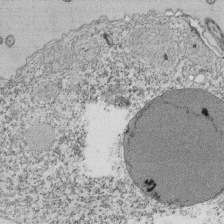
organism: Tetrahymena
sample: Cilia in tetrahymena